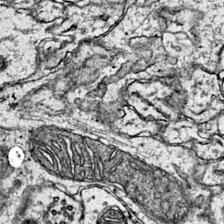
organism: Mouse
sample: Primary visual cortex